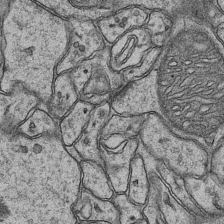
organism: Mouse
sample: CA1 Hippocampus